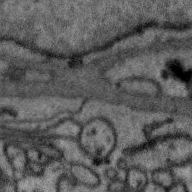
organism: Zebra finch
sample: Brain